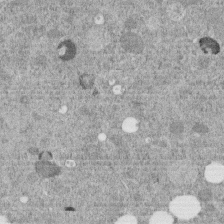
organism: C. elegans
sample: C. elegans embryo early stage